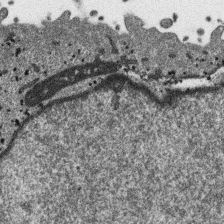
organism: Human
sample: Lung epithelial cells infected with SARS-CoV-2